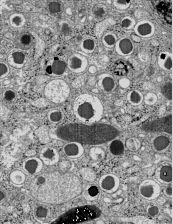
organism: C57BL Mouse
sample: Pancreatic islet